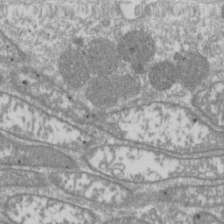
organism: Drosophila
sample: Cell division; meiosis; drosophila spermatocytes